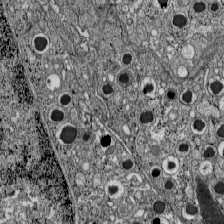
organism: C57BL Mouse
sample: Pancreatic islet